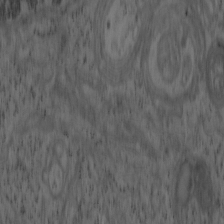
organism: Human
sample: HeLa cells